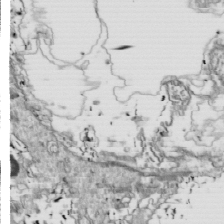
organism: Drosophila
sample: Cell division; meiosis; drosophila spermatocytes